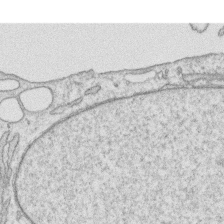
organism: Human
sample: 1205lu cells